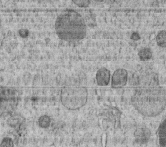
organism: C. elegans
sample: C. elegans embryo early stage